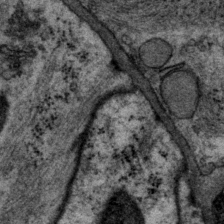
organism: P. pacificus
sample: Pharynx